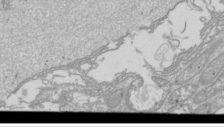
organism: Drosophila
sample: Cell division; meiosis; drosophila spermatocytes